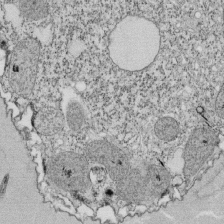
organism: Tetrahymena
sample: Cilia in tetrahymena